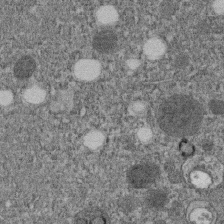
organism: C. elegans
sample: C. elegans embryo early stage